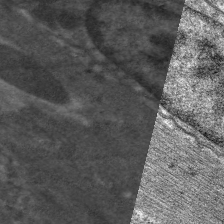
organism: C. elegans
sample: Pharynx